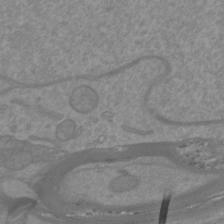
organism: Mouse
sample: Cortical neurons